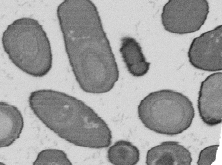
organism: B. subtilis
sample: Bacterial spore